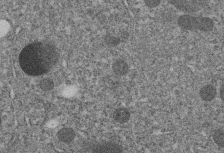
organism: C. elegans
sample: C. elegans embryo early stage